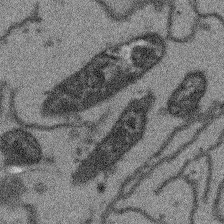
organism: Arabidopsis thaliana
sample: Root tip